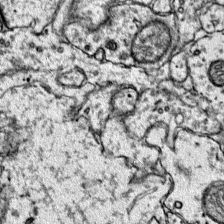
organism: Mouse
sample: Primary visual cortex